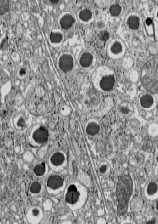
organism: C57BL Mouse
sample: Pancreatic islet